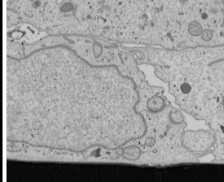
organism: Human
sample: Mitochondria in U2OS cells